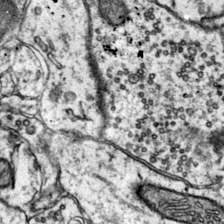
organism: Mouse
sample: Primary visual cortex